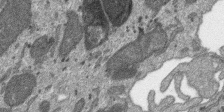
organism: Human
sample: Lung epithelial cells infected with SARS-CoV-2